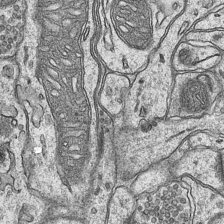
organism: Mouse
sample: CA1 Hippocampus